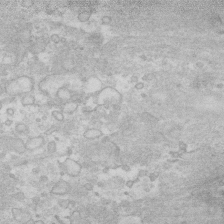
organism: Human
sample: Fibroblast cells